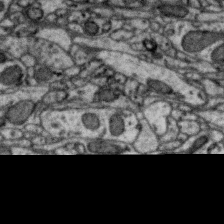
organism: Zebra finch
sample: Brain